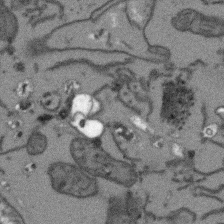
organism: Arabidopsis thaliana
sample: Root tip